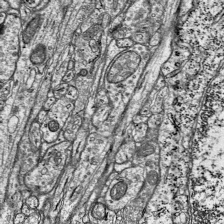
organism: Mouse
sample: Visual Cortex